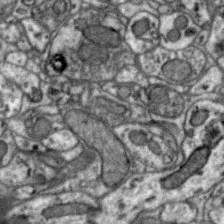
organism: Zebra finch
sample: Brain